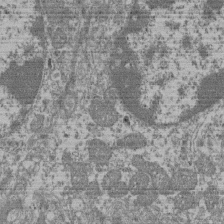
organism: Mouse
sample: Glomerulus